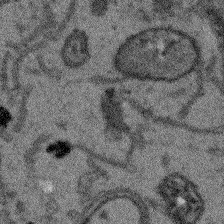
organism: Arabidopsis thaliana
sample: Root tip